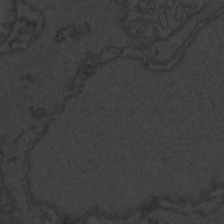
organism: Zebrafish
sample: Macrophage infected with Toxoplasma gondii